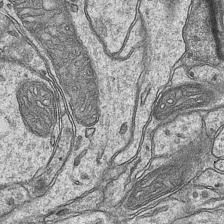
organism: Mouse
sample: CA1 Hippocampus